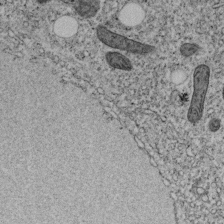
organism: C. elegans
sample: C. elegans embryo early stage